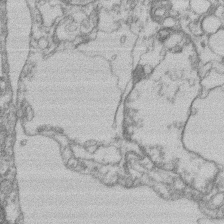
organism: Mouse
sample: T cell stromal cell synapse